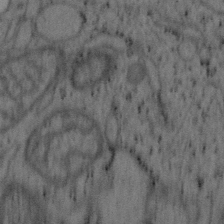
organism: Human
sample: HeLa cells